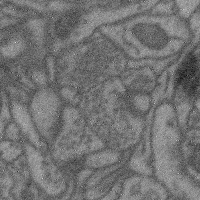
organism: Mouse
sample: Cerebral cortex